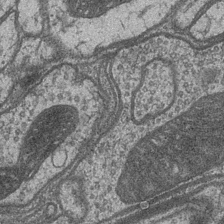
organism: Drosophila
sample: Optic medulla